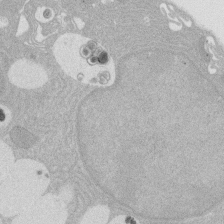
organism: Rat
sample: Salivary granule